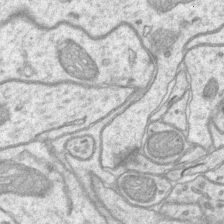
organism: Mouse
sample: CA1 Hippocampus